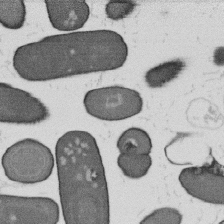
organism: B. subtilis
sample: Bacterial spore